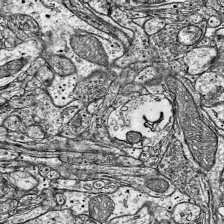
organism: Mouse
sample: Visual Cortex